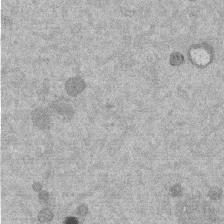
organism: Mouse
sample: Dividing mouse embryo 1 cell stage